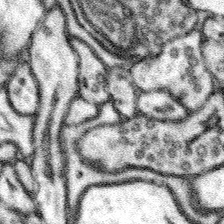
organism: Mouse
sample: Somatosensory cortex neuropil